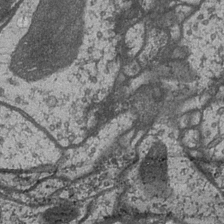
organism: Drosophila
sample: Optic medulla